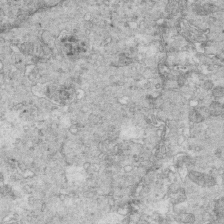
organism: Mouse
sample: Multiciliated cells